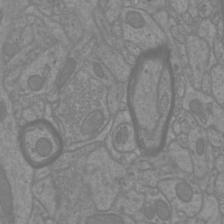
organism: Mouse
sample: Cortical neurons